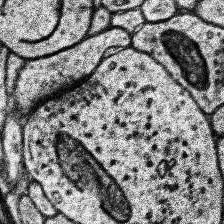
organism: Human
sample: Temporal Lobe